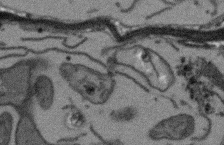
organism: Arabidopsis thaliana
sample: Root tip